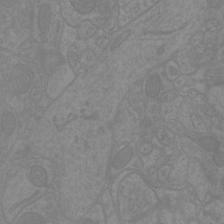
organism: Mouse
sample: Cortical neurons